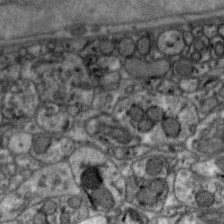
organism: Zebra finch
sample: Brain